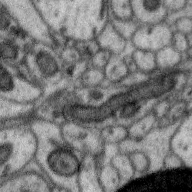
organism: Zebra finch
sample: Brain